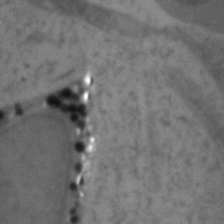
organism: Zebrafish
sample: Zebrafish embryo